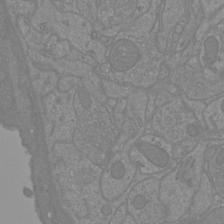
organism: Mouse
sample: Cortical neurons